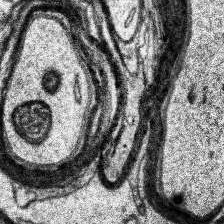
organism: Human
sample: Temporal Lobe